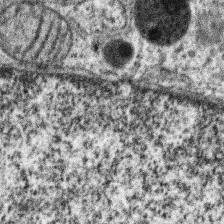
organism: Human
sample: HeLa cells